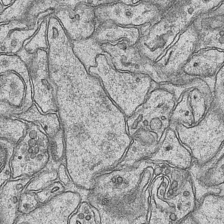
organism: Mouse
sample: CA1 Hippocampus